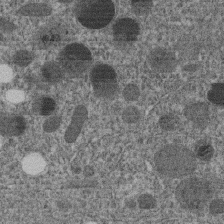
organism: C. elegans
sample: C. elegans embryo early stage